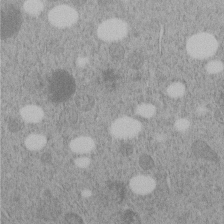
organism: C. elegans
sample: C. elegans embryo early stage